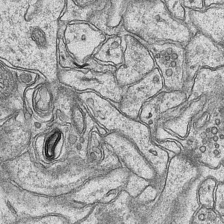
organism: Mouse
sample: CA1 Hippocampus